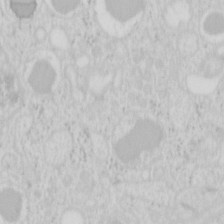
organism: Mouse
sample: Pancreas